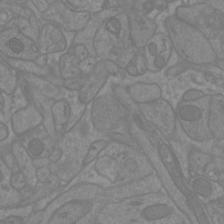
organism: Mouse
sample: Cortical neurons